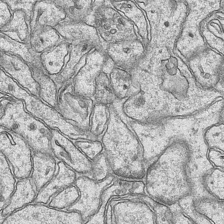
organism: Mouse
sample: CA1 Hippocampus